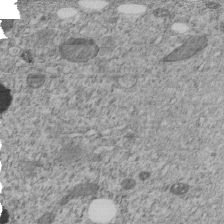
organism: C. elegans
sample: C. elegans embryo early stage